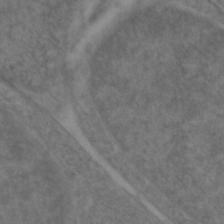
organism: Zebrafish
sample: Zebrafish embryo